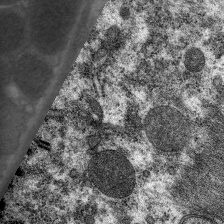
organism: C. elegans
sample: Pharynx